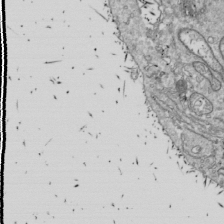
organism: Drosophila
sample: Cell division; meiosis; drosophila spermatocytes